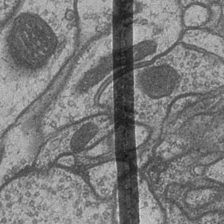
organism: Drosophila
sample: Optic medulla